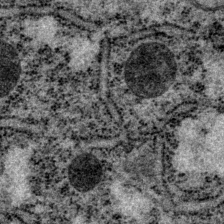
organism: P. pacificus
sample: Pharynx